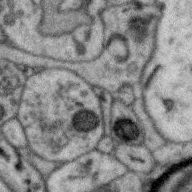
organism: Zebra finch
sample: Brain